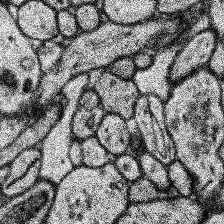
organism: Human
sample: Temporal Lobe